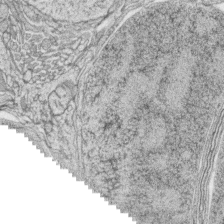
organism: Zebrafish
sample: synaptic ribbons in rod cells and cone cells